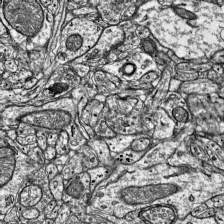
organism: Mouse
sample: Visual Cortex